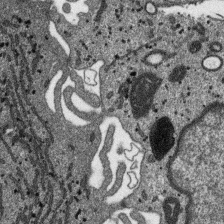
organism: Human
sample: Lung epithelial cells infected with SARS-CoV-2